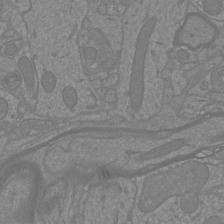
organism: Mouse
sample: Cortical neurons